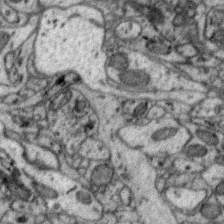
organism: Zebra finch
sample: Brain